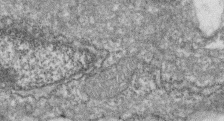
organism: Zebrafish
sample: Cilia; retinal pigment epithelium